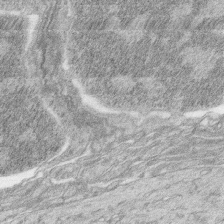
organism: Zebrafish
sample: synaptic ribbons in rod cells and cone cells